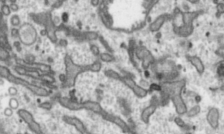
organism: Toxoplasma gondii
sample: Parasites in a vacuole inside a host cell